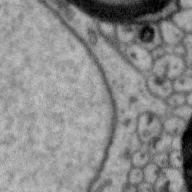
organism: Zebra finch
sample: Brain